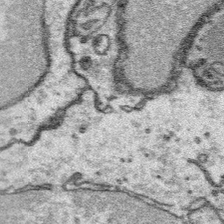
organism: Platynereis dumerilii